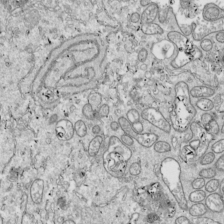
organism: Drosophila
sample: Cell division; meiosis; drosophila spermatocytes